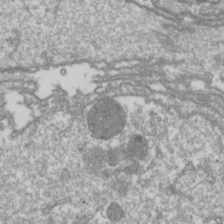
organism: Drosophila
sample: Cell division; meiosis; drosophila spermatocytes